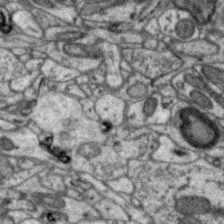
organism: Zebra finch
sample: Brain